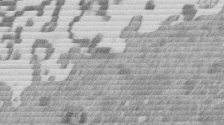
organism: Mouse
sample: Dividing mouse embryo 1 cell stage